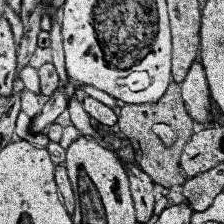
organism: Human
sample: Temporal Lobe